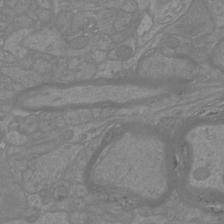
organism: Mouse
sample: Cortical neurons